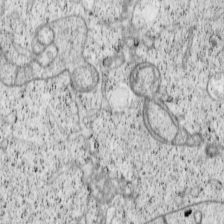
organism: African green monkey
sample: COS-7 cells